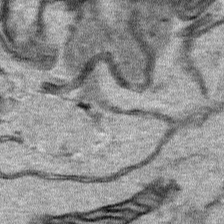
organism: Human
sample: Mitochondria in HCT116 cells